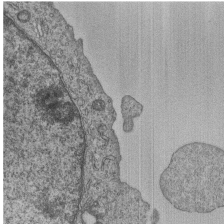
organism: Human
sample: MDA-MB-231 cells